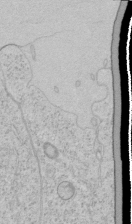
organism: Human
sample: Mitochondria in HCT116 cells